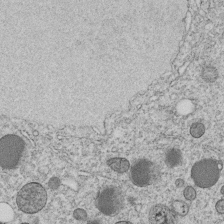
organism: C. elegans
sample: C. elegans embryo early stage